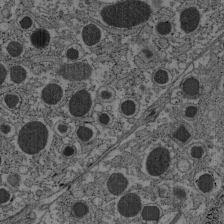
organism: C57BL Mouse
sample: Pancreatic islet